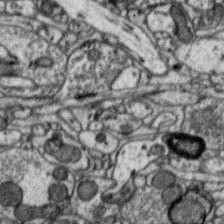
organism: Zebra finch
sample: Brain